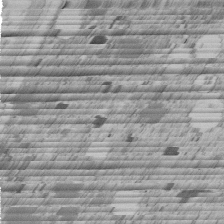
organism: C. elegans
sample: C. elegans embryo early stage